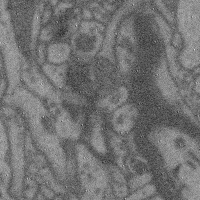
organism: Mouse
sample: Cerebral cortex